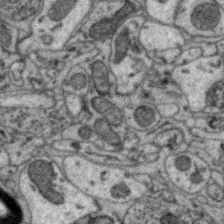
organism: Zebra finch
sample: Brain